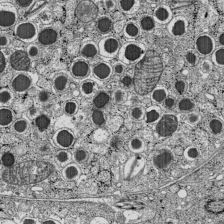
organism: C57BL Mouse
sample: Pancreatic islet